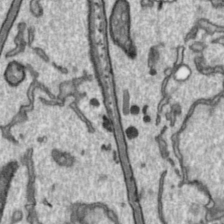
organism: Toxoplasma gondii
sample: Parasites in a vacuole inside a host cell